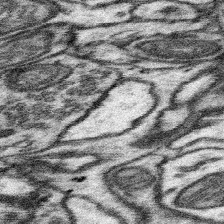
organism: Mouse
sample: Somatosensory cortex neuropil